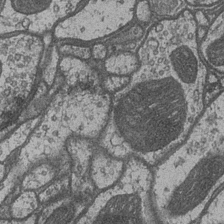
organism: Drosophila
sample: Optic medulla